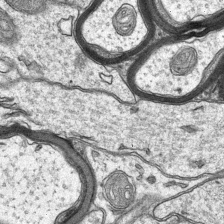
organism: Mouse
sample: CA1 Hippocampus